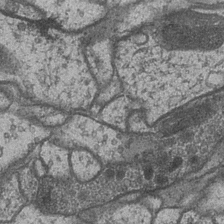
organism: Drosophila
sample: Optic medulla